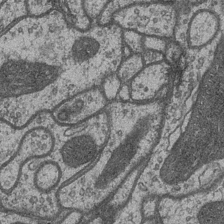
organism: Drosophila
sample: Optic medulla